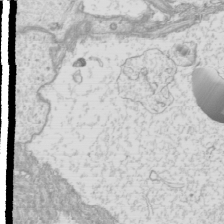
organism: Mouse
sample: Cilia; mouse epididymis